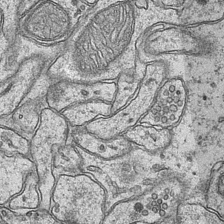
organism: Mouse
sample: CA1 Hippocampus